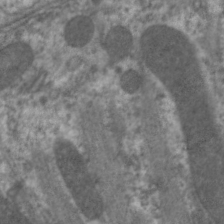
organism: C. elegans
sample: Pharynx